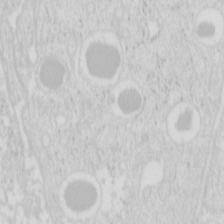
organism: Mouse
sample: Pancreas